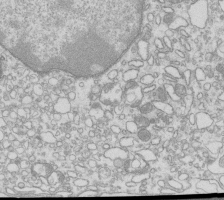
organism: Mouse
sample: Macrophages